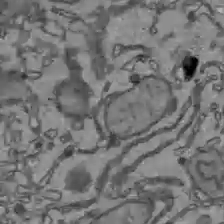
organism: C57BL Mouse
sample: Liver